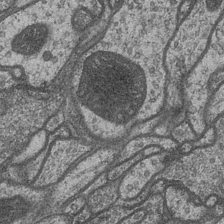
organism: Drosophila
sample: Optic medulla